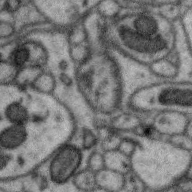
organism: Zebra finch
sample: Brain